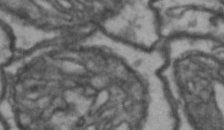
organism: Drosophila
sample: Brain